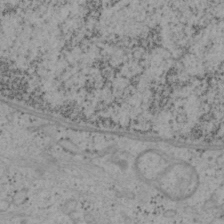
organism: Human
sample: HeLa cells